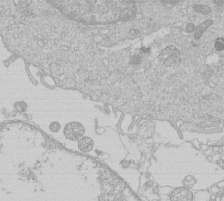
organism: Human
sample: Macrophage cells